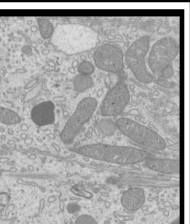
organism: Mouse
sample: Cilia; mouse epididymis